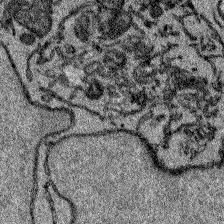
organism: Zebrafish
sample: Larval olfactory bulb